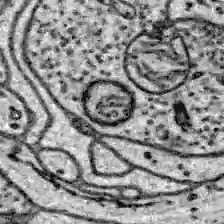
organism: Zebrafish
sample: Brain